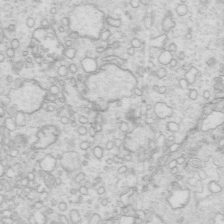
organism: Mouse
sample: Multiciliated cells